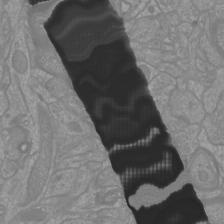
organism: Mouse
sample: Cortical neurons